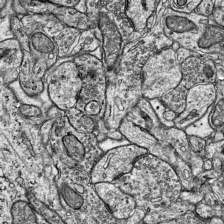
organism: Mouse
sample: Visual Cortex